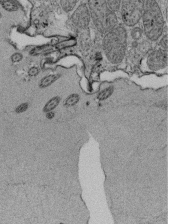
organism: Tetrahymena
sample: Cilia in tetrahymena